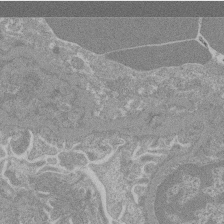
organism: Mouse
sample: Glomerulus